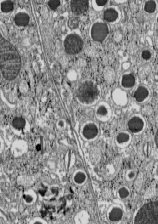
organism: C57BL Mouse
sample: Pancreatic islet